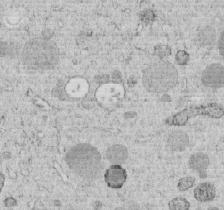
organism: C. elegans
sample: C. elegans embryo early stage